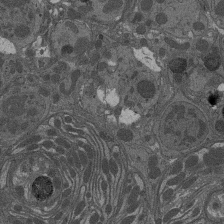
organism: Drosophila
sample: Antenna